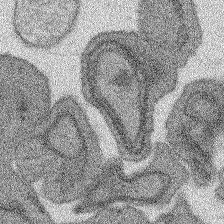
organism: Human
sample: HeLa cells